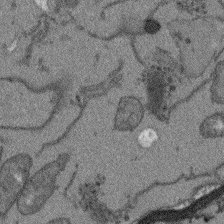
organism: Arabidopsis thaliana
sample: Root tip